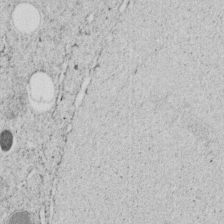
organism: C. elegans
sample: C. elegans embryo early stage